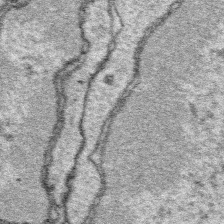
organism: Platynereis dumerilii